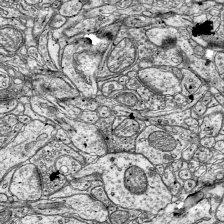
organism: Mouse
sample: Visual Cortex